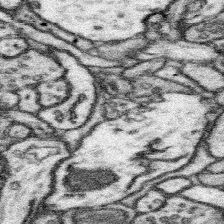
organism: Mouse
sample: Somatosensory cortex neuropil